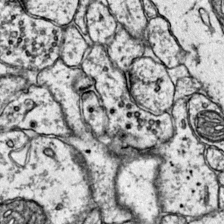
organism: Mouse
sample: Primary visual cortex